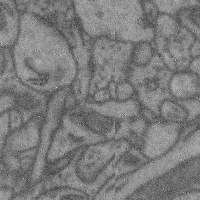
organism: Mouse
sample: Cerebral cortex